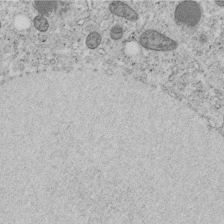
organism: C. elegans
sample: C. elegans embryo early stage